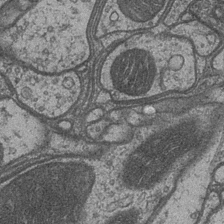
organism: Drosophila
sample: Optic medulla